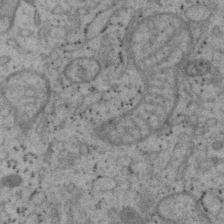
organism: Human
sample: HeLa cells